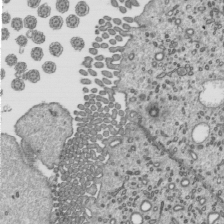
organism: Mouse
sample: Mouse epididymis efferent ductule cilia